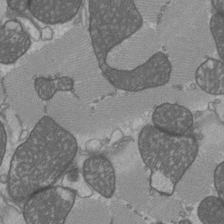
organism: C57BL Mouse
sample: Heart